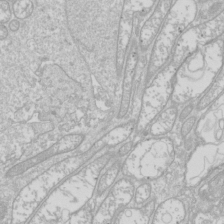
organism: Drosophila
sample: Cell division; meiosis; drosophila spermatocytes